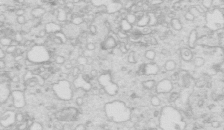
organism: Mouse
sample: Multiciliated cells